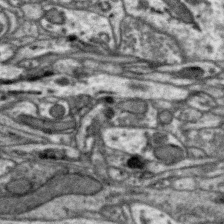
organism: Zebra finch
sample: Brain